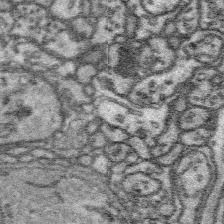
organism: Platynereis dumerilii